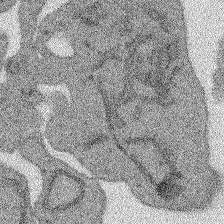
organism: Human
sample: HeLa cells